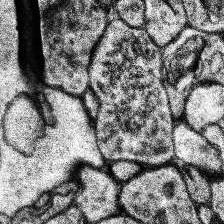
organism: Human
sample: Temporal Lobe